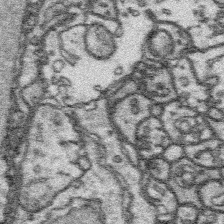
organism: Platynereis dumerilii